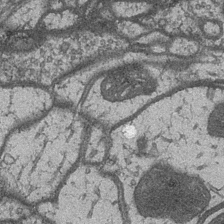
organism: Drosophila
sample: Optic medulla